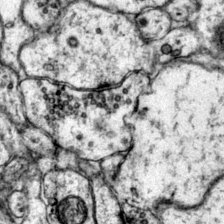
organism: Mouse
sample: Primary visual cortex